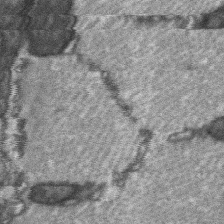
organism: C57BL Mouse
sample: Soleus